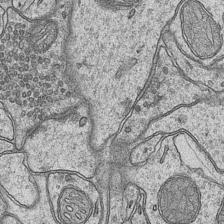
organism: Mouse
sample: CA1 Hippocampus